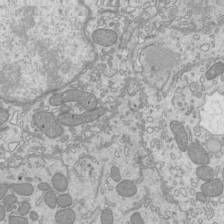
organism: Mouse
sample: Cilia; mouse epididymis